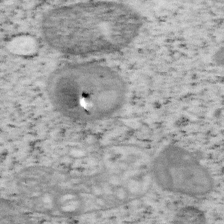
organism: Mouse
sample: OT-I killer T cells with ID8 ovarian cancer cells